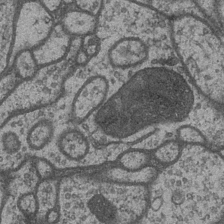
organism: Drosophila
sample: Optic medulla